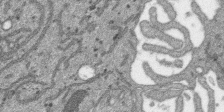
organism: Human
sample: Lung epithelial cells infected with SARS-CoV-2